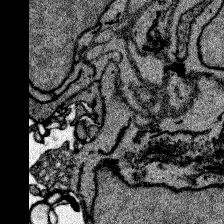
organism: Zebrafish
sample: Larval olfactory bulb